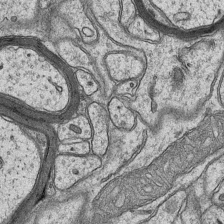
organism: Mouse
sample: CA1 Hippocampus